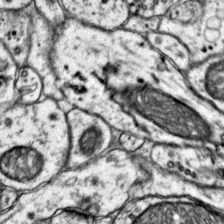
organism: Mouse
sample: Primary visual cortex